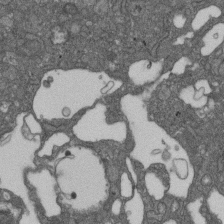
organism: Drosophila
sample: Nephrocyte